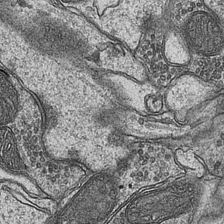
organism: Mouse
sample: CA1 Hippocampus